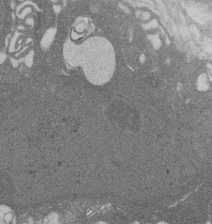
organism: Rat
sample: Salivary granule